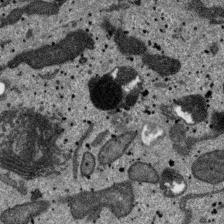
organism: Human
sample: Lung epithelial cells, uninfected (mock) control